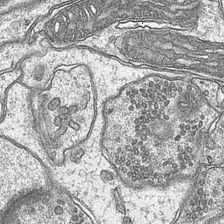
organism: Mouse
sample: CA1 Hippocampus